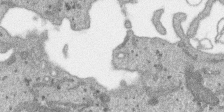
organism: Human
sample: Lung epithelial cells infected with SARS-CoV-2